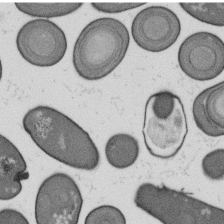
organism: B. subtilis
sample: Bacterial spore